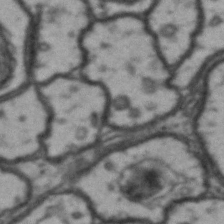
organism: Drosophila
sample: Brain